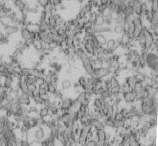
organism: Mouse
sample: Cilia; retinal pigment epithelium